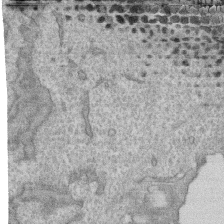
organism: Human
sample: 1205lu cells